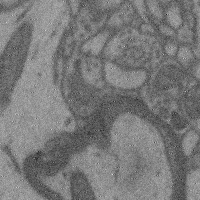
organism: Mouse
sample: Cerebral cortex